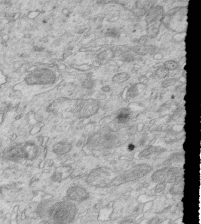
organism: Mouse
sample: Multiciliated cells